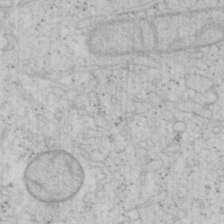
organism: Human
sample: HeLa cells